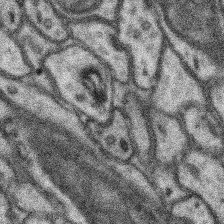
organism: Mouse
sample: Somatosensory cortex neuropil